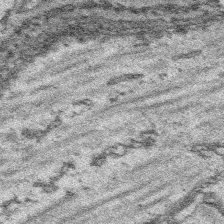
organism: Platynereis dumerilii